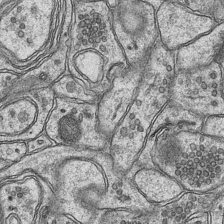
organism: Mouse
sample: CA1 Hippocampus